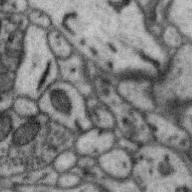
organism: Zebra finch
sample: Brain